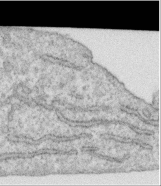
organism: Human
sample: Centriole in RPE cells